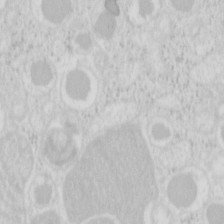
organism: Mouse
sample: Pancreas